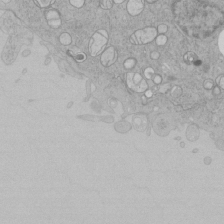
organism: Human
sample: Mitochondria in HCT116 cells